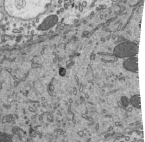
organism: Mouse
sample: Mouse epididymis efferent ductule cilia